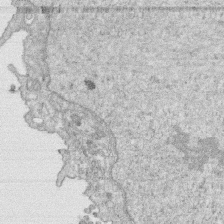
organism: Human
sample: HeLa cell HIV synapse